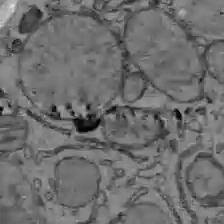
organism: C57BL Mouse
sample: Liver